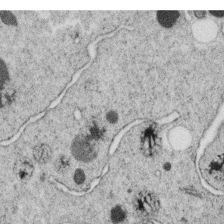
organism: C. elegans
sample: C. elegans oocyte; sperm cells